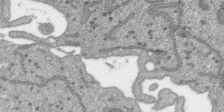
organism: Human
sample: Lung epithelial cells infected with SARS-CoV-2